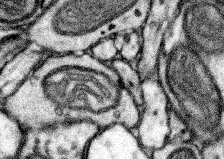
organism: Mouse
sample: Somatosensory cortex neuropil